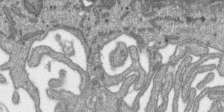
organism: Human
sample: Lung epithelial cells infected with SARS-CoV-2